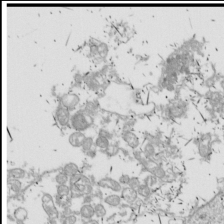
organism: Drosophila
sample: Cell division; meiosis; drosophila spermatocytes